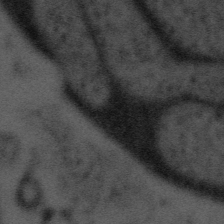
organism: Tuwongella immobilis